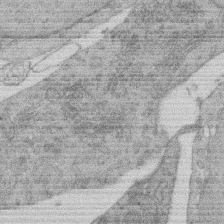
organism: Rat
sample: Salivary granule